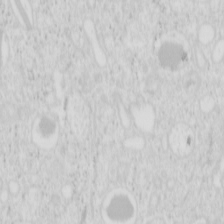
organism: Mouse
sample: Pancreas